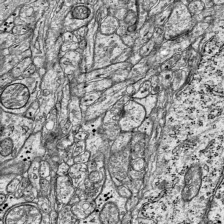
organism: Mouse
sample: Visual Cortex